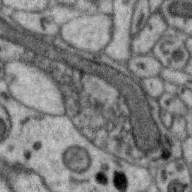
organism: Zebra finch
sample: Brain